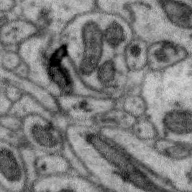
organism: Zebra finch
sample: Brain